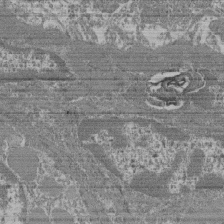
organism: Mouse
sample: Glomerulus